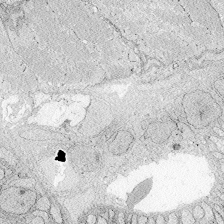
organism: Zebrafish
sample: Whole-Brain